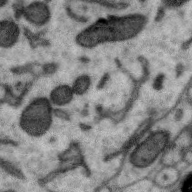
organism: Zebra finch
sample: Brain